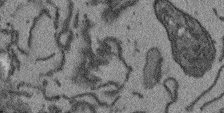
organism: Arabidopsis thaliana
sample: Root tip